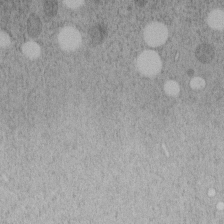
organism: C. elegans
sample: C. elegans embryo early stage